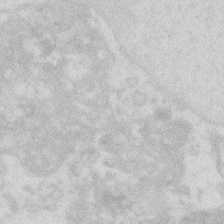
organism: Zebrafish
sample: Macrophage